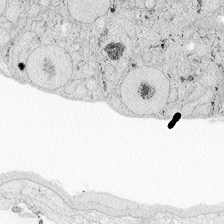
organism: Zebrafish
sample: Whole-Brain